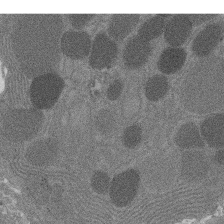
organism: Rat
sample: Salivary granule